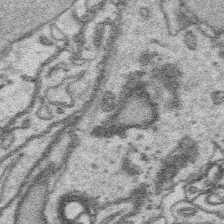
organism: Platynereis dumerilii